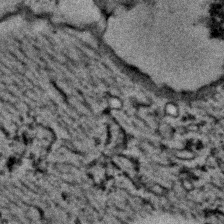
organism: C. elegans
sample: C. elegans embryo